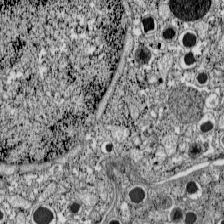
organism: C57BL Mouse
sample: Pancreatic islet